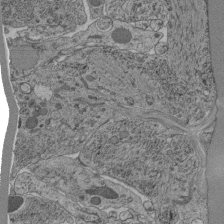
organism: C. elegans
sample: C. elegans pharynx